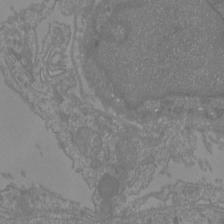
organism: Mouse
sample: Cortical neurons